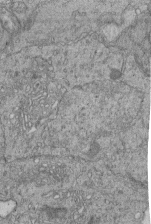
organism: Human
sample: Retinal organoid Rod and Cone cells